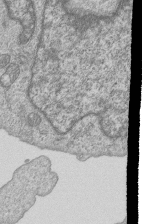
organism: Human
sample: MDA-MB-231 cells